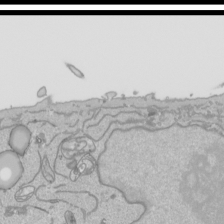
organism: Human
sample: Mitochondria in HCT116 cells